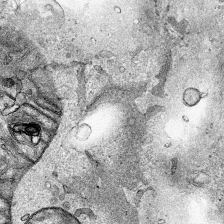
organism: Human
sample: Mitochondria in HCT116 cells